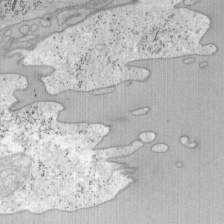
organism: Mouse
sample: OT-I killer T cells with ID8 ovarian cancer cells